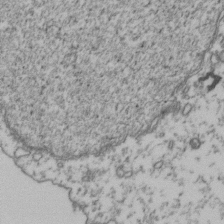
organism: Human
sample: Activated Jurkat CD4+ T cells